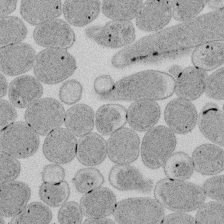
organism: E. coli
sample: Bacterial nucleoid